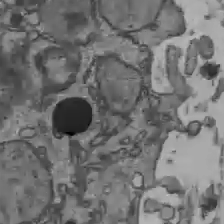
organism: C57BL Mouse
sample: Liver